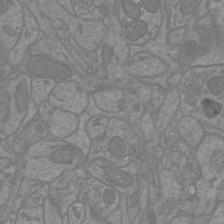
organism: Mouse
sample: Cortical neurons